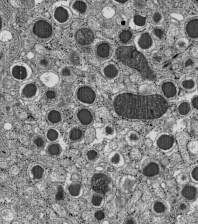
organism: C57BL Mouse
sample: Pancreatic islet